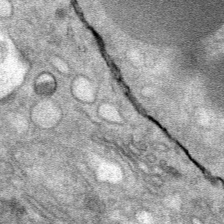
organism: Mouse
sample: Mouse Salivary gland